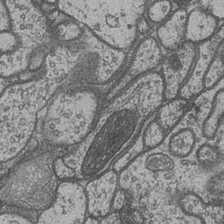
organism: Drosophila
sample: Optic medulla